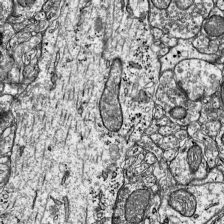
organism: Mouse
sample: Visual Cortex